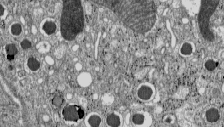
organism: C57BL Mouse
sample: Pancreatic islet